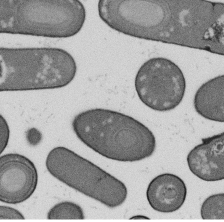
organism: B. subtilis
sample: Bacterial spore